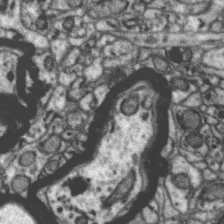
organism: Zebra finch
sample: Brain